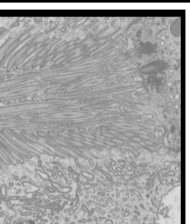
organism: Mouse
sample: Cilia; mouse epididymis